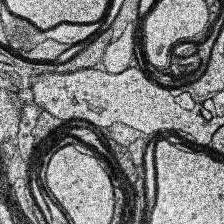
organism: Human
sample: Temporal Lobe